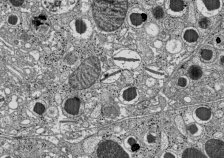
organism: C57BL Mouse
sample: Pancreatic islet